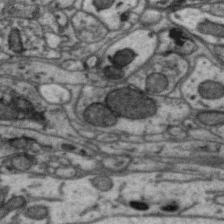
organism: Zebra finch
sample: Brain